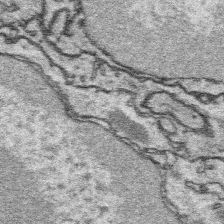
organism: Platynereis dumerilii